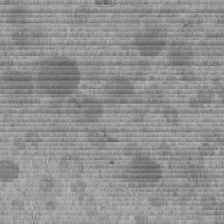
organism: C. elegans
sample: C. elegans embryo early stage